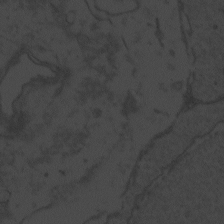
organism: Zebrafish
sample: Macrophage infected with Toxoplasma gondii